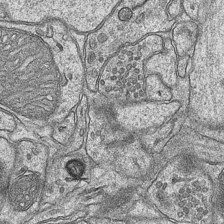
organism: Mouse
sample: CA1 Hippocampus